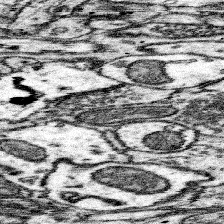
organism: Mouse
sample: Somatosensory cortex neuropil